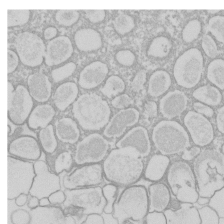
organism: Xenopus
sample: Cilia; centrioles in frog embryo cells